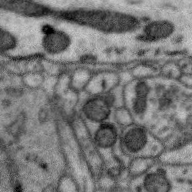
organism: Zebra finch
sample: Brain